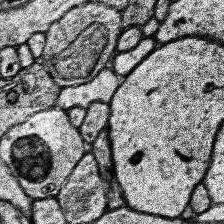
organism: Human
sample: Temporal Lobe